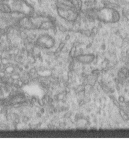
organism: Human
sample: Centriole in RPE cells